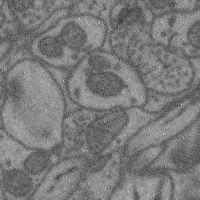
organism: Mouse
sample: Cerebral cortex